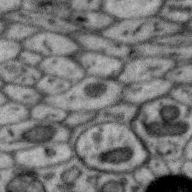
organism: Zebra finch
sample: Brain